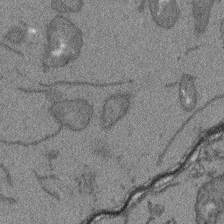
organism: Arabidopsis thaliana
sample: Root tip